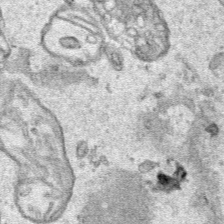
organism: Human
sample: Mitochondria in HCT116 cells